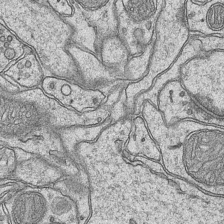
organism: Mouse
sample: CA1 Hippocampus